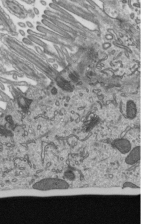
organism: Mouse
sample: Mouse epididymis efferent ductule cilia